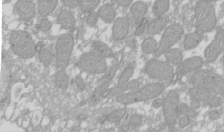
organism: Xenopus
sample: Cilia; centrioles in frog embryo cells